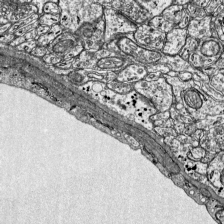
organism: Mouse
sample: Visual Cortex